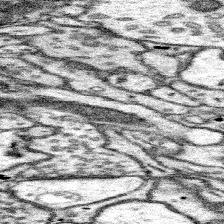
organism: Mouse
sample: Somatosensory cortex neuropil